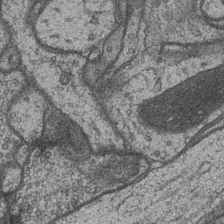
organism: Drosophila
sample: Optic medulla